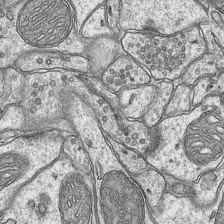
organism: Mouse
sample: CA1 Hippocampus